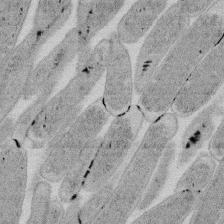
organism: E. coli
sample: Bacterial nucleoid